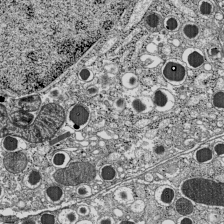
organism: C57BL Mouse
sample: Pancreatic islet